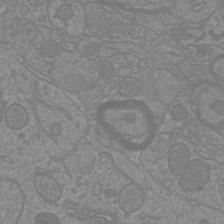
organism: Mouse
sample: Cortical neurons